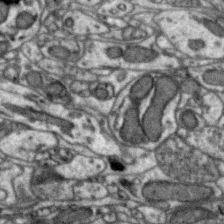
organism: Zebra finch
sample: Brain